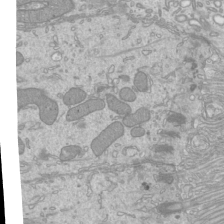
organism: Mouse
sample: Cilia; mouse epididymis